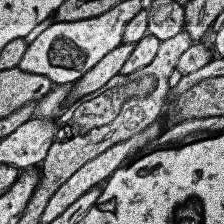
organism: Human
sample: Temporal Lobe